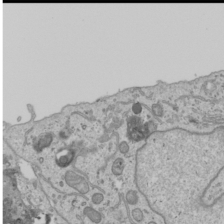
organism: Human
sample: Mitochondria in U2OS cells